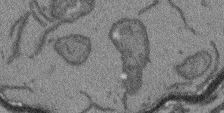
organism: Arabidopsis thaliana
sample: Root tip